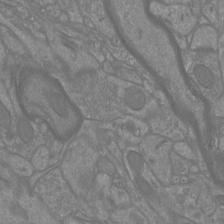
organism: Mouse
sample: Cortical neurons